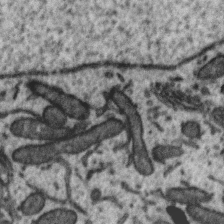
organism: Zebra finch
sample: Brain